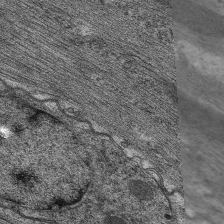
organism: C. elegans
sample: Pharynx